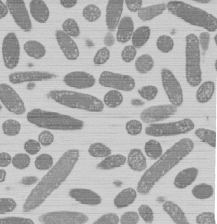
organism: E. coli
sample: Bacterial nucleoid